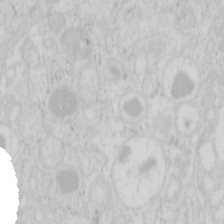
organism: Mouse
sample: Pancreas